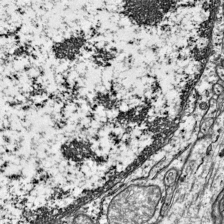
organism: Mouse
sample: Visual Cortex